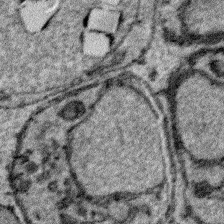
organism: Plasmodium falciparum